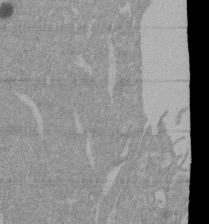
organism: Mouse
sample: ED-1 cell nuclei; centrioles